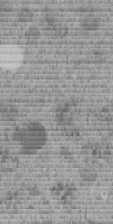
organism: C. elegans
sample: C. elegans embryo early stage